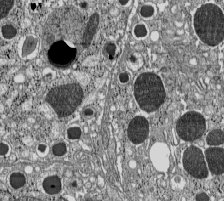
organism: C57BL Mouse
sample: Pancreatic islet